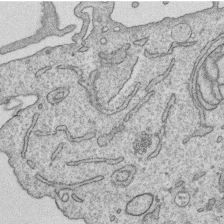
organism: Human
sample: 1205lu cells